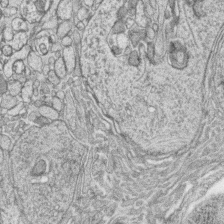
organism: Zebrafish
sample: synaptic ribbons in rod cells and cone cells